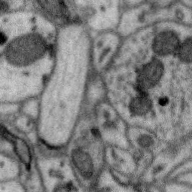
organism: Zebra finch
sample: Brain